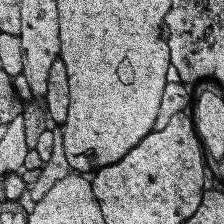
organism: Human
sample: Temporal Lobe